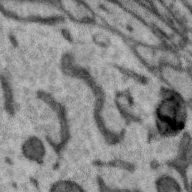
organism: Zebra finch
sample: Brain